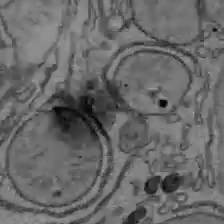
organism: C57BL Mouse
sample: Liver